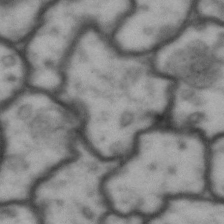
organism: Drosophila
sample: Brain